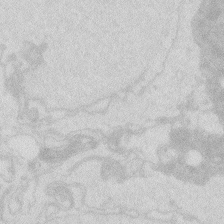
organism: Zebrafish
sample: Macrophage